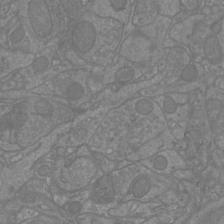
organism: Mouse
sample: Cortical neurons